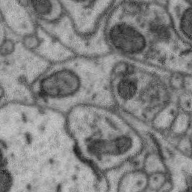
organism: Zebra finch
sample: Brain